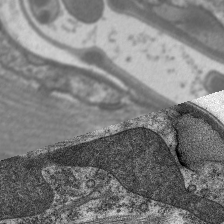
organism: C. elegans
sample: Pharynx